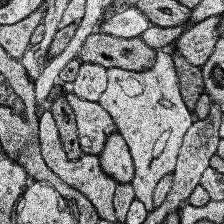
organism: Human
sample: Temporal Lobe